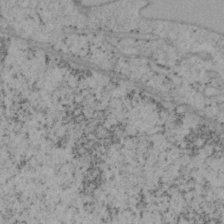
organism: Human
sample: HeLa cells